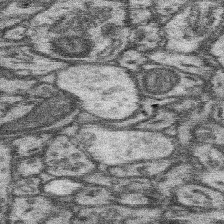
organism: Mouse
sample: Somatosensory cortex neuropil